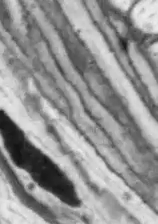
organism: Drosophila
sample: Optic lobe